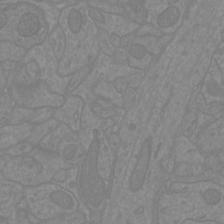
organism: Mouse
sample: Cortical neurons